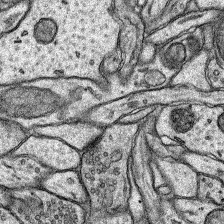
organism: Rat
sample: Hippocampus